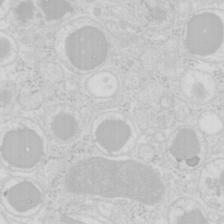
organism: Mouse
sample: Pancreas